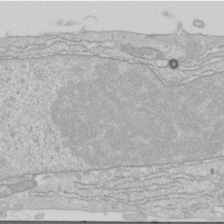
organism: Human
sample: Centriole in RPE cells